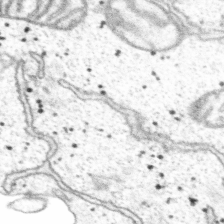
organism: Human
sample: HeLa cells